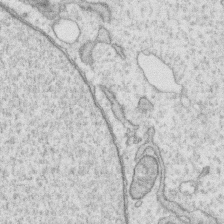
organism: Human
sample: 1205lu cells